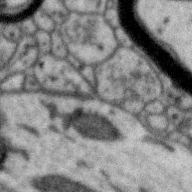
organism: Zebra finch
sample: Brain